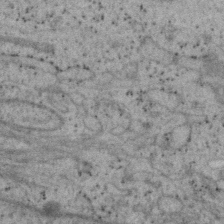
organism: Human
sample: HeLa cells